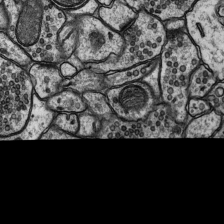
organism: Rat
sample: Hippocampus